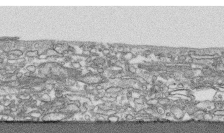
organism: Human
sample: CRL-1474